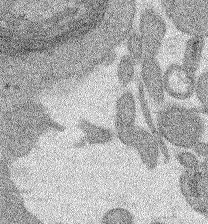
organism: Human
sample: HeLa cells